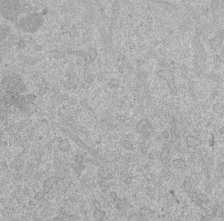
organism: Mouse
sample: Dividing mouse embryo 1 cell stage